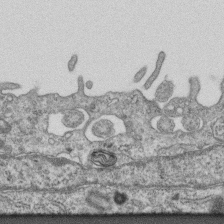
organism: Mouse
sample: Centriole in ependymal cells